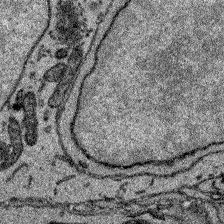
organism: Zebrafish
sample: Larval olfactory bulb